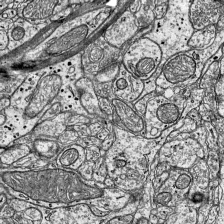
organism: Mouse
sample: Visual Cortex